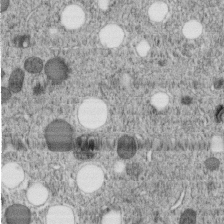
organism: C. elegans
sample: C. elegans embryo early stage